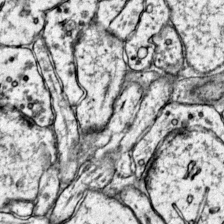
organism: Mouse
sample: Primary visual cortex